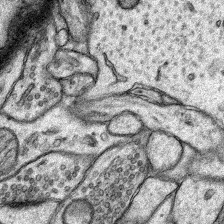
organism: Rat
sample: Hippocampus